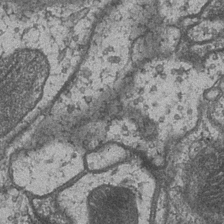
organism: Drosophila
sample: Optic medulla